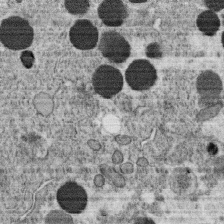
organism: C. elegans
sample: C. elegans oocyte; sperm cells